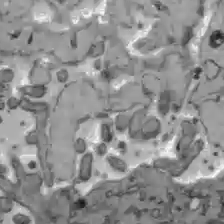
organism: C57BL Mouse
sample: Liver